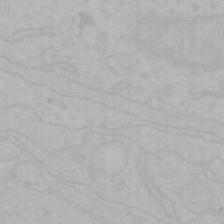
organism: Mouse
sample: Choroid plexus